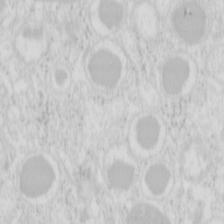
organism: Mouse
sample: Pancreas